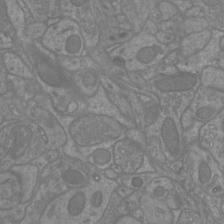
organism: Mouse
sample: Cortical neurons